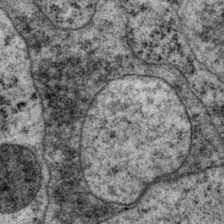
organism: P. pacificus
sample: Pharynx